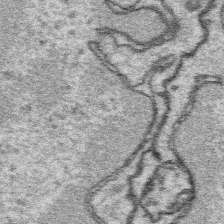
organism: Platynereis dumerilii